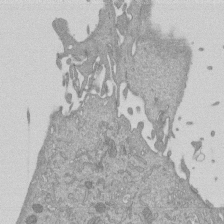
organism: Mouse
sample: ED-1 cell nuclei; centrioles